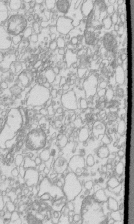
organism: Mouse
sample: Macrophages